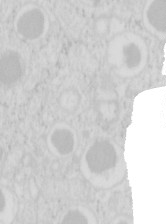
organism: Mouse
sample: Pancreas